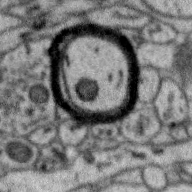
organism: Zebra finch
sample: Brain